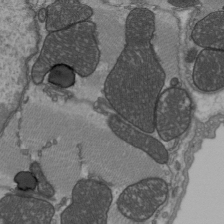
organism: C57BL Mouse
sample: Heart